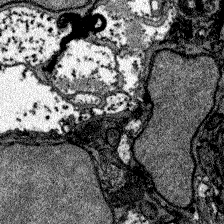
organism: Zebrafish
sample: Larval olfactory bulb